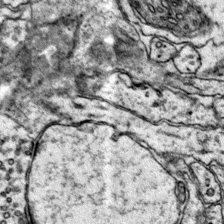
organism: Mouse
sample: Primary visual cortex